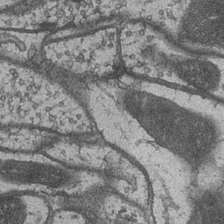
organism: Drosophila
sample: Optic medulla